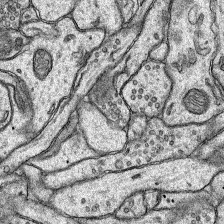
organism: Rat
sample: Hippocampus